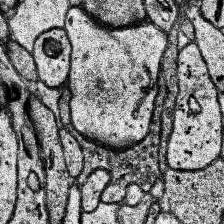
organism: Human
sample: Temporal Lobe